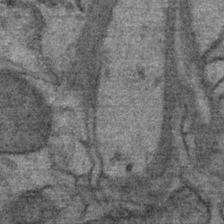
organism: Mouse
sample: Mouse Salivary gland